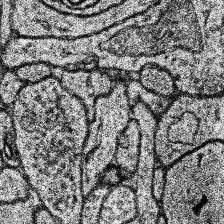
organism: Human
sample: Temporal Lobe